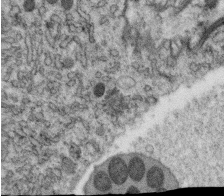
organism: C. elegans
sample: C. elegans oocyte; sperm cells